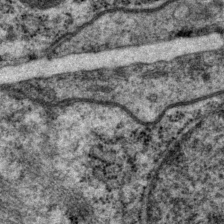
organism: P. pacificus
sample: Pharynx